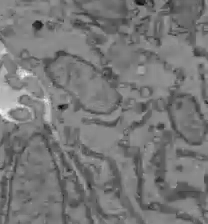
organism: C57BL Mouse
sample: Liver